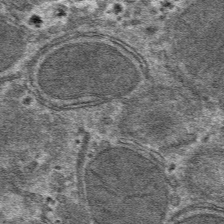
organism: Mouse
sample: Mouse hepatocytes